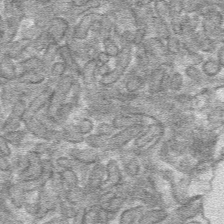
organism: Mouse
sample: Mouse hepatocytes